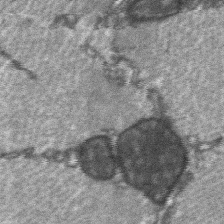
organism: C57BL Mouse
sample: Soleus